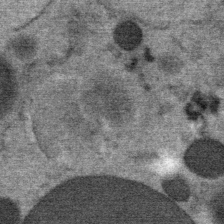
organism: Mouse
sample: Mouse Salivary gland